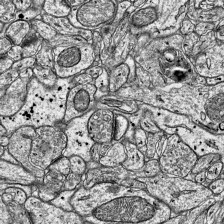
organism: Mouse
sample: Visual Cortex